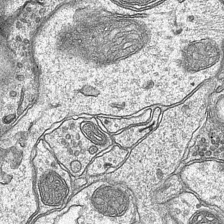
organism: Mouse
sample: CA1 Hippocampus